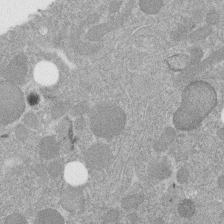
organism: C. elegans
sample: C. elegans embryo early stage